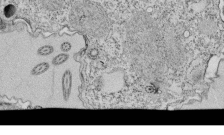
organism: Tetrahymena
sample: Cilia in tetrahymena